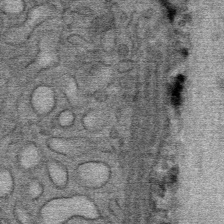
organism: Mouse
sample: Mouse Salivary gland